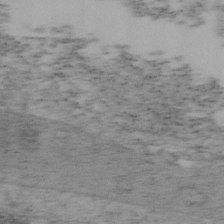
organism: Mouse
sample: OT-I killer T cells with ID8 ovarian cancer cells